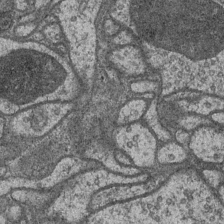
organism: Drosophila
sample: Optic medulla